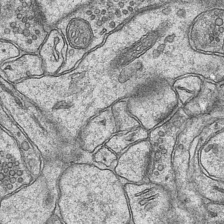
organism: Mouse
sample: CA1 Hippocampus